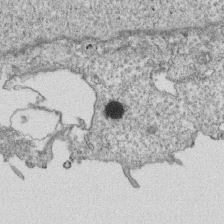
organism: Human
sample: HeLa cell HIV synapse